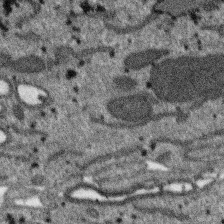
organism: Human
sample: Lung epithelial cells infected with SARS-CoV-2